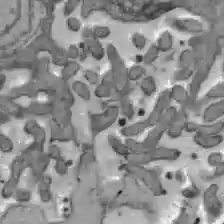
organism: C57BL Mouse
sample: Liver